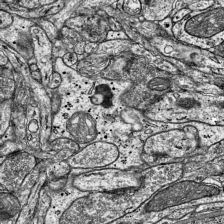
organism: Mouse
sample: Visual Cortex